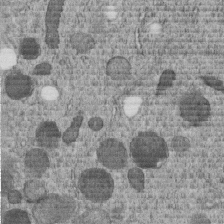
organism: C. elegans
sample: C. elegans embryo early stage